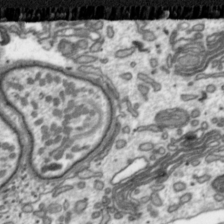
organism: Toxoplasma gondii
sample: Parasites in a vacuole inside a host cell